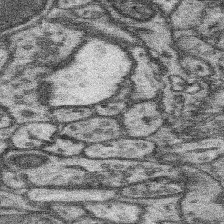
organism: Mouse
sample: Somatosensory cortex neuropil